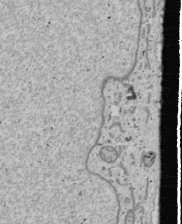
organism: Human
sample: Mitochondria in U2OS cells